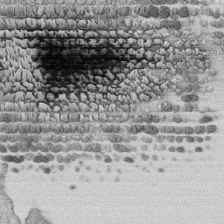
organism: Human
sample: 1205lu cells